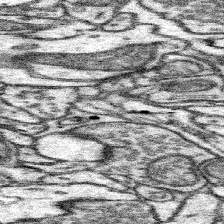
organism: Mouse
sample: Somatosensory cortex neuropil